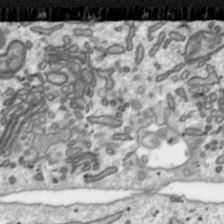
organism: Toxoplasma gondii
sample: Parasites in a vacuole inside a host cell